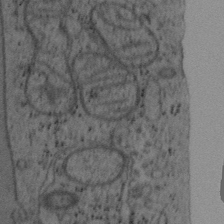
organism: Human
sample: HeLa cells